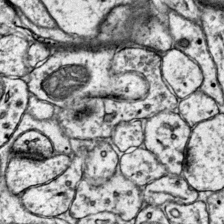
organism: Mouse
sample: Primary visual cortex